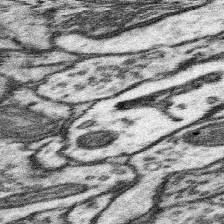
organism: Mouse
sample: Somatosensory cortex neuropil